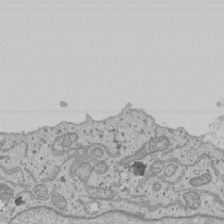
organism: Human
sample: Mitochondria in U2OS cells